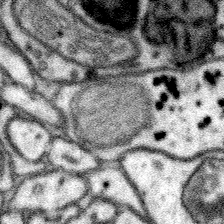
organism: Mouse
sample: Somatosensory cortex neuropil